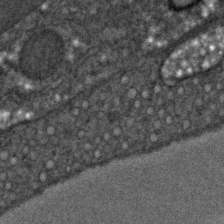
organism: C. elegans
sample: C. elegans embryo